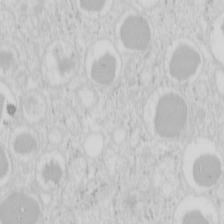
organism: Mouse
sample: Pancreas